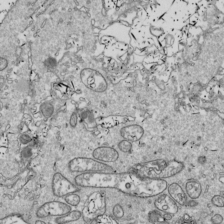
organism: Drosophila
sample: Cell division; meiosis; drosophila spermatocytes